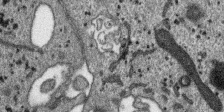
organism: Human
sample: Lung epithelial cells infected with SARS-CoV-2